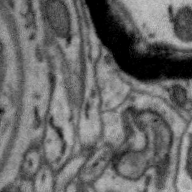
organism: Zebra finch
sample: Brain